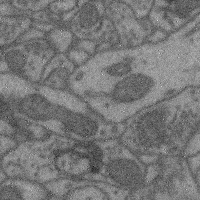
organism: Mouse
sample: Cerebral cortex